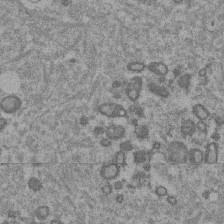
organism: Mouse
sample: Dividing mouse embryo 1 cell stage